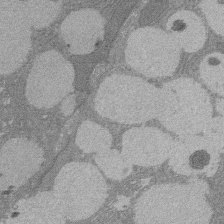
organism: Rat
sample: Salivary granule